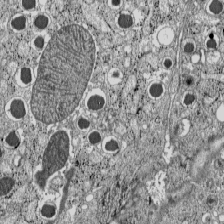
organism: C57BL Mouse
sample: Pancreatic islet